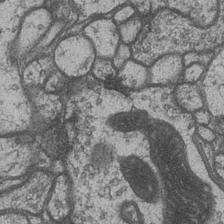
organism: Drosophila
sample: Optic medulla